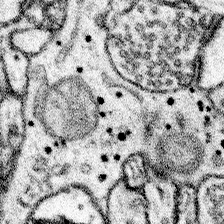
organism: Mouse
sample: Somatosensory cortex neuropil